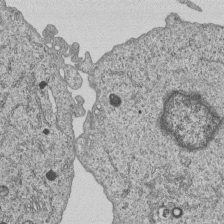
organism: Human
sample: MDA-MB-231 cells